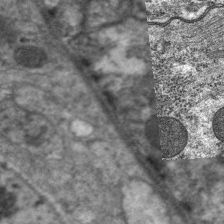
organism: C. elegans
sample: Pharynx